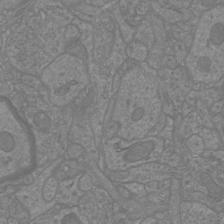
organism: Mouse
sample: Cortical neurons